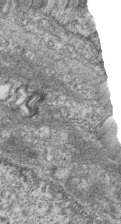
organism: Zebrafish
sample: Cilia; retinal pigment epithelium